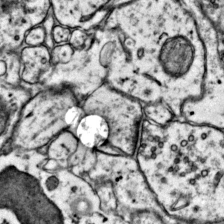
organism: Mouse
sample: Primary visual cortex